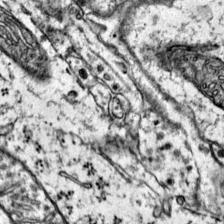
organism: Mouse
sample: Primary visual cortex